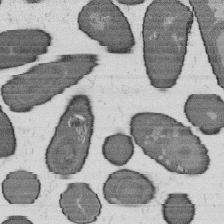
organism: B. subtilis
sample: Bacterial spore